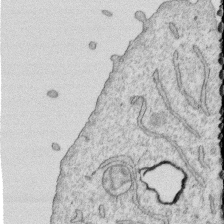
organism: Human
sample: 1205lu cells